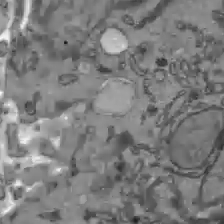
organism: C57BL Mouse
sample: Liver